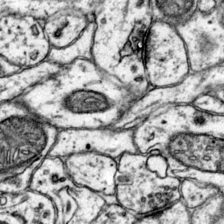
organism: Mouse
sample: Primary visual cortex